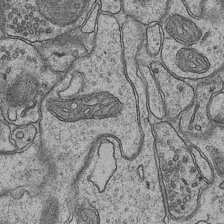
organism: Mouse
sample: CA1 Hippocampus